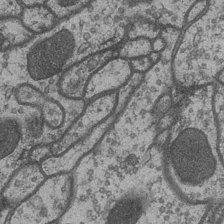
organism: Drosophila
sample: Optic medulla